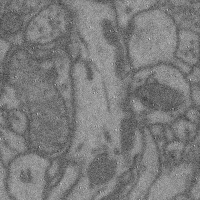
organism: Mouse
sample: Cerebral cortex